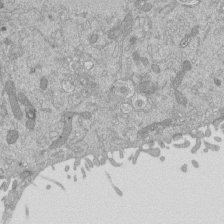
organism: Mouse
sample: ED-1 cell nuclei; centrioles